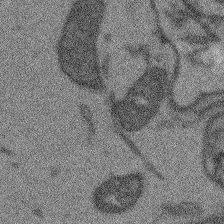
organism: Arabidopsis thaliana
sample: Root tip